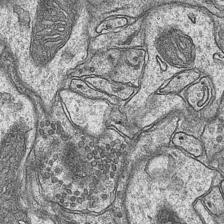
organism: Mouse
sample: CA1 Hippocampus